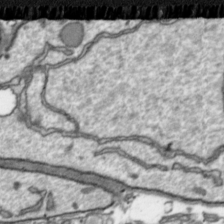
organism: Toxoplasma gondii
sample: Parasites in a vacuole inside a host cell